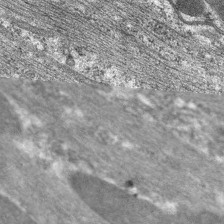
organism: C. elegans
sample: Pharynx